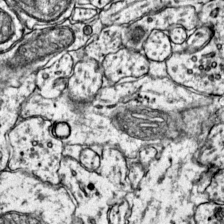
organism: Mouse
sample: Primary visual cortex